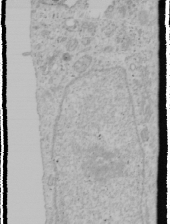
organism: Human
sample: Mitochondria in U2OS cells